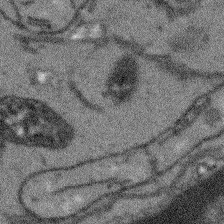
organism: Arabidopsis thaliana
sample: Root tip